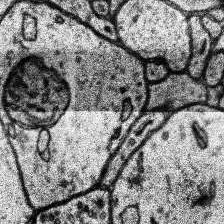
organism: Human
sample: Temporal Lobe